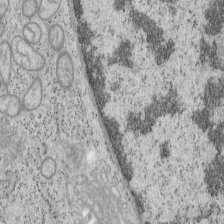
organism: Mouse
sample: OT-I killer T cells with ID8 ovarian cancer cells